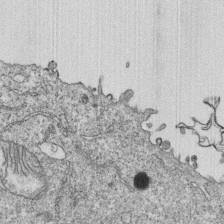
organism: Human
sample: HeLa cell HIV synapse